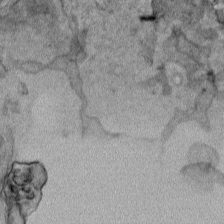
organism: Human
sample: Mitochondria in HCT116 cells